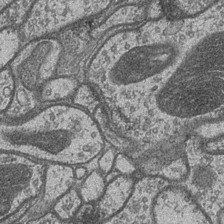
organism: Drosophila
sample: Optic medulla